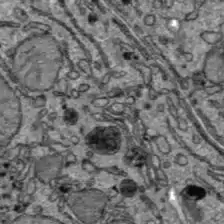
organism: C57BL Mouse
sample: Liver